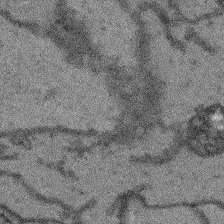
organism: Arabidopsis thaliana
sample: Root tip